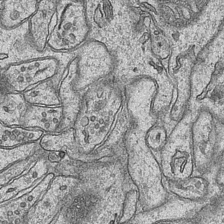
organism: Mouse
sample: CA1 Hippocampus